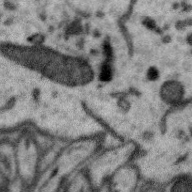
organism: Zebra finch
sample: Brain